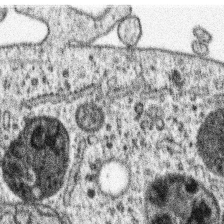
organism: Human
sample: HeLa cells